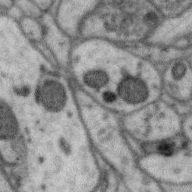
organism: Zebra finch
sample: Brain